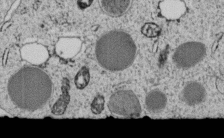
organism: C. elegans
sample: C. elegans embryo early stage